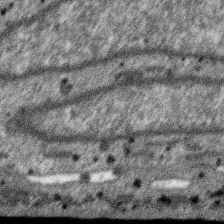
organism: Human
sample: Lung epithelial cells infected with SARS-CoV-2